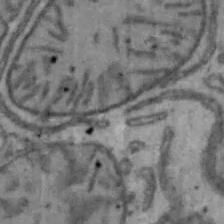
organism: Mouse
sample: Liver